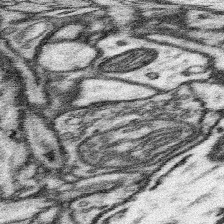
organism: Mouse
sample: Somatosensory cortex neuropil